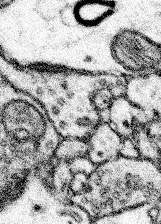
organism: Mouse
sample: Somatosensory cortex neuropil